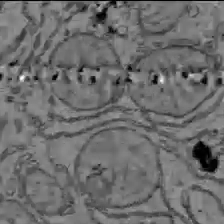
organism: C57BL Mouse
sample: Liver